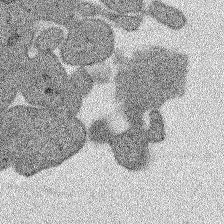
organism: Human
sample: HeLa cells